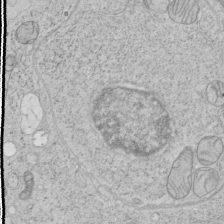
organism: Human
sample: Mitochondria in HCT116 cells